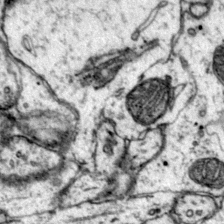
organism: Mouse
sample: Primary visual cortex